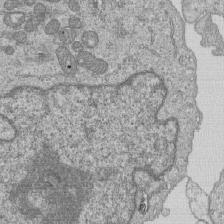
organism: Human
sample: MDA-MB-231 cells